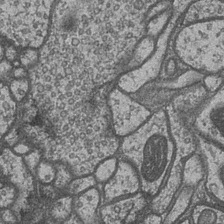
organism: Drosophila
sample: Optic medulla